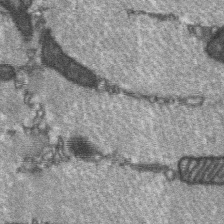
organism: C57BL Mouse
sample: Soleus